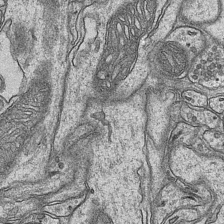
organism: Mouse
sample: CA1 Hippocampus